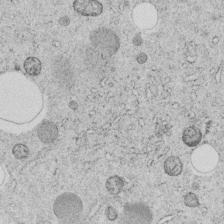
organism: C. elegans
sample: C. elegans embryo early stage